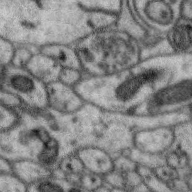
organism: Zebra finch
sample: Brain